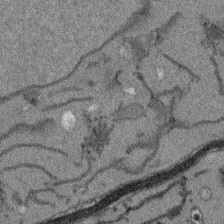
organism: Arabidopsis thaliana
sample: Root tip